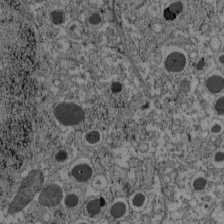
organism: C57BL Mouse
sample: Pancreatic islet